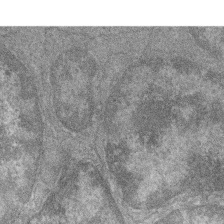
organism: Zebrafish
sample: Cilia; retinal pigment epithelium